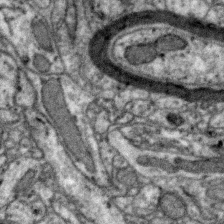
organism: Zebra finch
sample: Brain